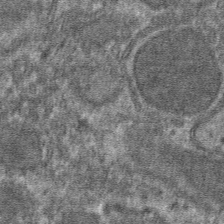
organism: Mouse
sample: Mouse hepatocytes